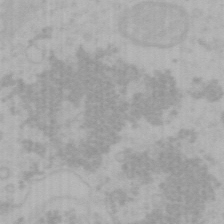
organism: Mouse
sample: Choroid plexus